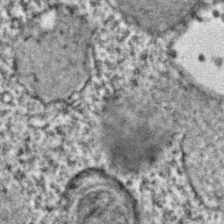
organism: C. elegans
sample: C. elegans embryo